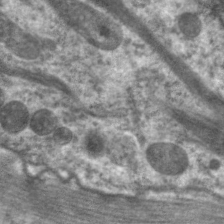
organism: C. elegans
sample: Pharynx